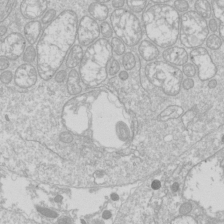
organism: Drosophila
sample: Cell division; meiosis; drosophila spermatocytes